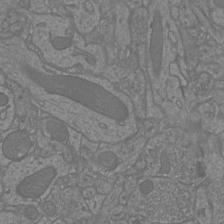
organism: Mouse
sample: Cortical neurons